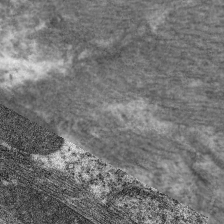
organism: C. elegans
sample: Pharynx